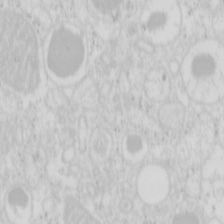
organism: Mouse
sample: Pancreas